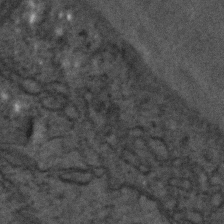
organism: C. elegans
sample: C. elegans embryo